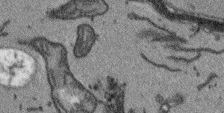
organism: Arabidopsis thaliana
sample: Root tip